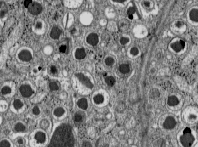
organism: C57BL Mouse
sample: Pancreatic islet